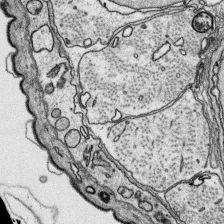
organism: Platynereis dumerilii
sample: Parapodia